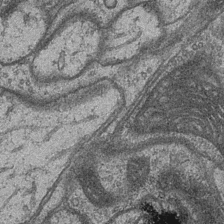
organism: Drosophila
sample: Optic medulla